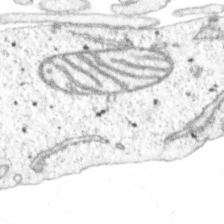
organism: Human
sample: HeLa cells